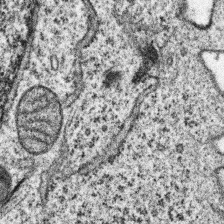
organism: Human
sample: HeLa cells